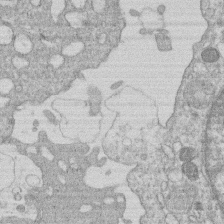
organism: Human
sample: Macrophage cells